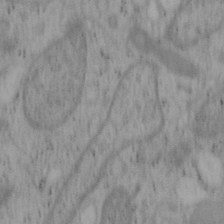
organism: Mouse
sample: OT-I killer T cells with ID8 ovarian cancer cells